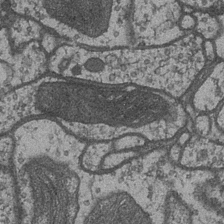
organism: Drosophila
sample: Optic medulla